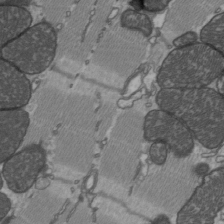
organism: C57BL Mouse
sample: Heart